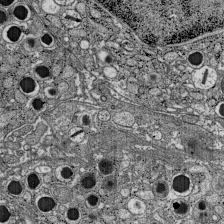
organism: C57BL Mouse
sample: Pancreatic islet